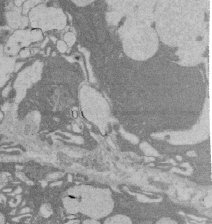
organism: Rat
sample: Salivary granule